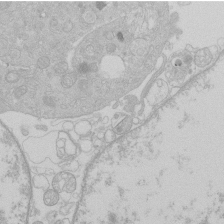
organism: Human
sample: Macrophage cells